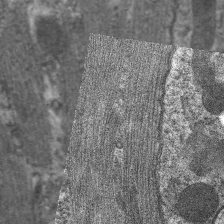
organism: C. elegans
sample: Pharynx